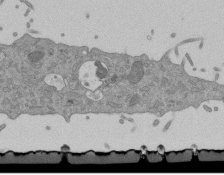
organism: Mouse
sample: ED-1 cell nuclei; centrioles